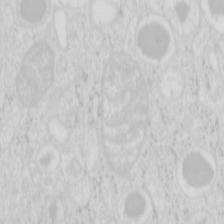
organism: Mouse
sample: Pancreas